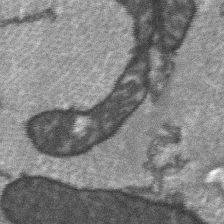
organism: C57BL Mouse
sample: Soleus